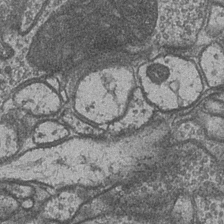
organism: Drosophila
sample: Optic medulla